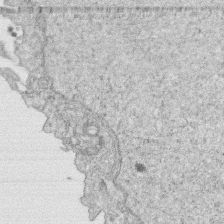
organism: Human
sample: HeLa cell HIV synapse